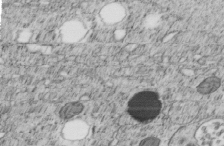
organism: C. elegans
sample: C. elegans embryo early stage